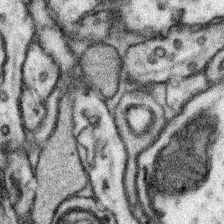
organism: Mouse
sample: Somatosensory cortex neuropil